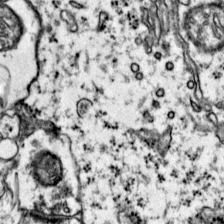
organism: Mouse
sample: Primary visual cortex